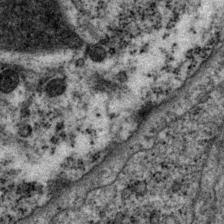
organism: P. pacificus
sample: Pharynx